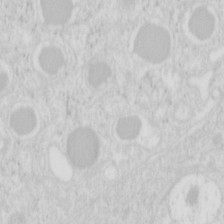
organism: Mouse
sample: Pancreas